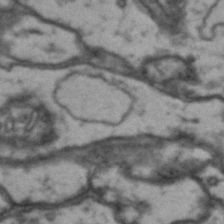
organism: Drosophila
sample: Brain